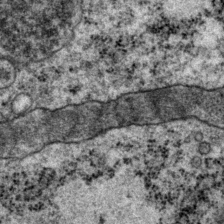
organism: P. pacificus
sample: Pharynx